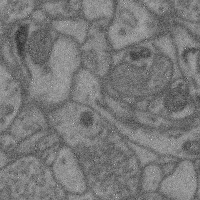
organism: Mouse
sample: Cerebral cortex